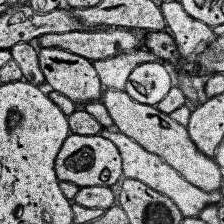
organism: Human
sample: Temporal Lobe